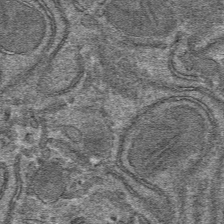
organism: Mouse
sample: Mouse hepatocytes